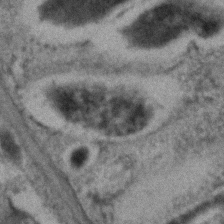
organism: C. elegans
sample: C. elegans embryo